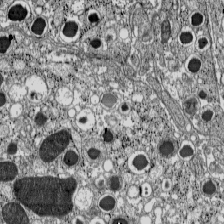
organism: C57BL Mouse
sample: Pancreatic islet